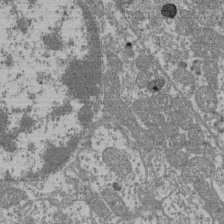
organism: Mouse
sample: Glomerulus